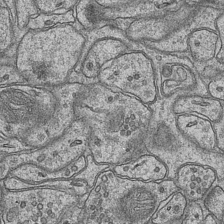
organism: Mouse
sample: CA1 Hippocampus